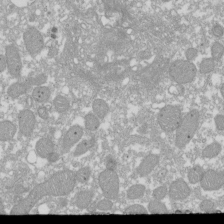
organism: Xenopus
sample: Cilia; centrioles in frog embryo cells